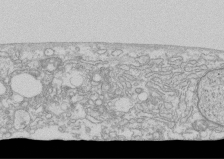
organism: Human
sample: CRL-1474